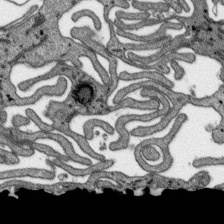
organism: Human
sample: Lung epithelial cells, uninfected (mock) control